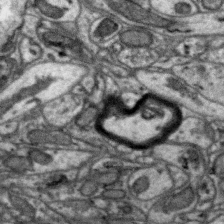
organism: Zebra finch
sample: Brain